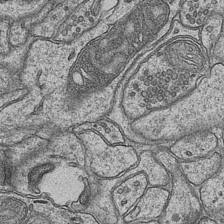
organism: Mouse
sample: CA1 Hippocampus